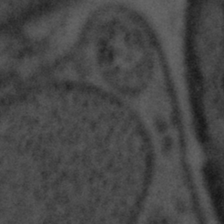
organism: Tuwongella immobilis